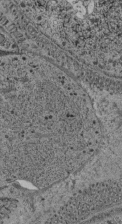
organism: C. elegans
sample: C. elegans pharynx